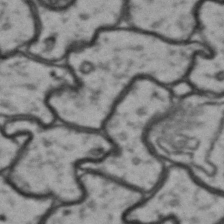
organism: Drosophila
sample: Brain